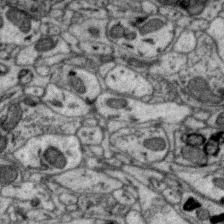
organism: Zebra finch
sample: Brain